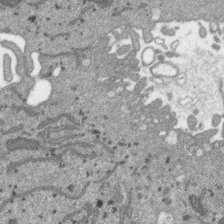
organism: Human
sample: Lung epithelial cells infected with SARS-CoV-2